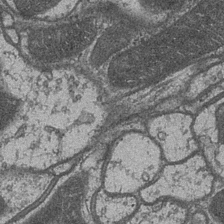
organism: Drosophila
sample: Optic medulla